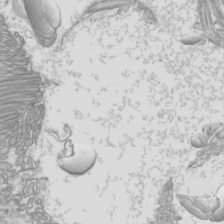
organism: Mouse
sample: Cilia; mouse epididymis